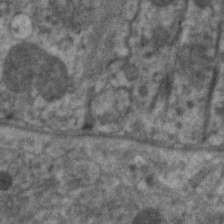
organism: C. elegans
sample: Pharynx